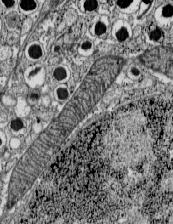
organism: C57BL Mouse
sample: Pancreatic islet